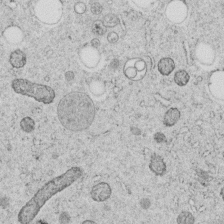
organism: C. elegans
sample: C. elegans embryo early stage